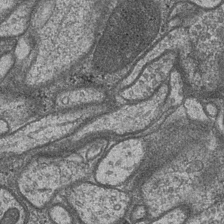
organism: Drosophila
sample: Optic medulla